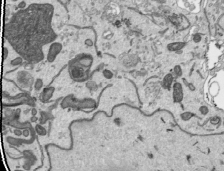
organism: Human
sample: Mitochondria in HCT116 cells